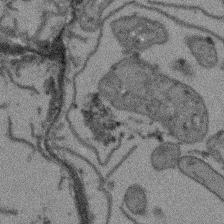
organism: Arabidopsis thaliana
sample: Root tip